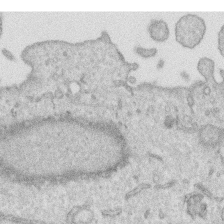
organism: Human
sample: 1205lu cells